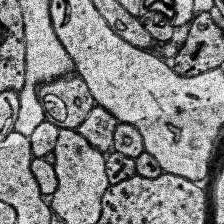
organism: Human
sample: Temporal Lobe